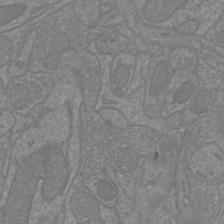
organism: Mouse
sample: Cortical neurons